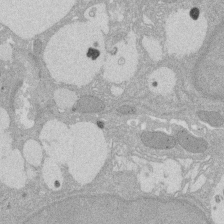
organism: Rat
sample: Salivary granule